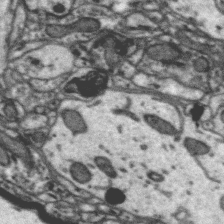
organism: Zebra finch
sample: Brain